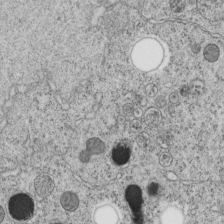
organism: C. elegans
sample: C. elegans embryo early stage